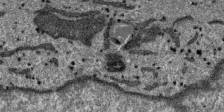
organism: Human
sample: Lung epithelial cells, uninfected (mock) control